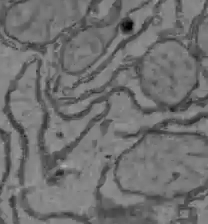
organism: C57BL Mouse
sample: Liver